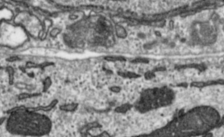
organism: Toxoplasma gondii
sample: Parasites in a vacuole inside a host cell